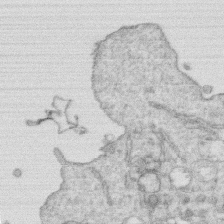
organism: Human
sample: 1205lu cells